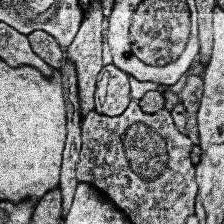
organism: Human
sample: Temporal Lobe